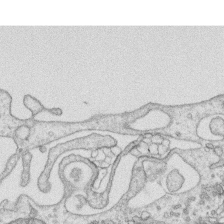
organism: Human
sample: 1205lu cells